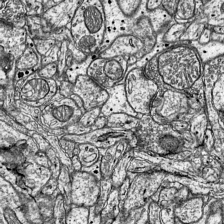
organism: Mouse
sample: Visual Cortex